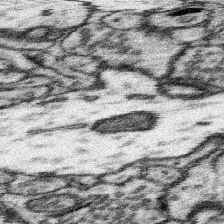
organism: Mouse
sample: Somatosensory cortex neuropil